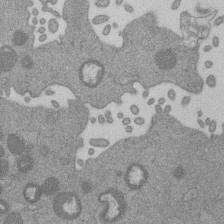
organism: Mouse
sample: Dividing mouse embryo 1 cell stage